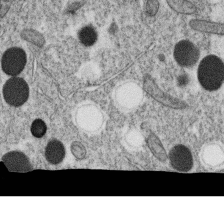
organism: C. elegans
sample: C. elegans oocyte; sperm cells